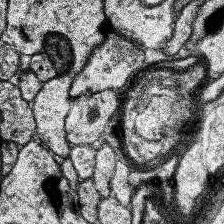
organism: Human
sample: Temporal Lobe